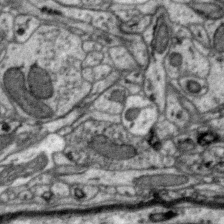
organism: Zebra finch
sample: Brain